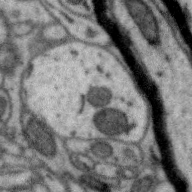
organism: Zebra finch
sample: Brain